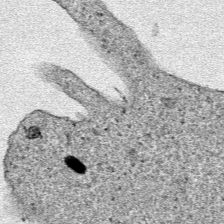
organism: Human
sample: Mitochondria in HCT116 cells